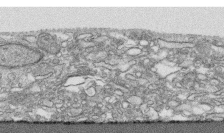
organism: Human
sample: CRL-1474